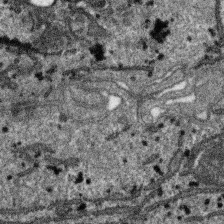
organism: Human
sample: Lung epithelial cells infected with SARS-CoV-2